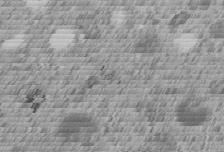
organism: C. elegans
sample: C. elegans embryo early stage